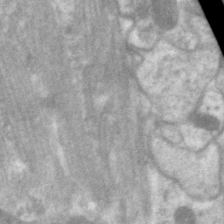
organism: C. elegans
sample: Pharynx